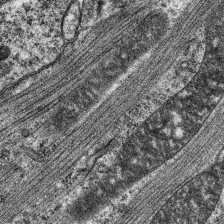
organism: C. elegans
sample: Pharynx